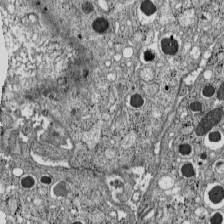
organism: C57BL Mouse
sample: Pancreatic islet